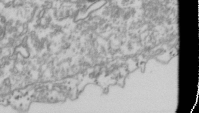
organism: Drosophila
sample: Cell division; meiosis; drosophila spermatocytes